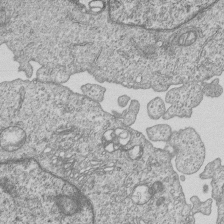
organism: Human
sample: MDA-MB-231 cells